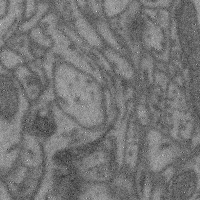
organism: Mouse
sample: Cerebral cortex